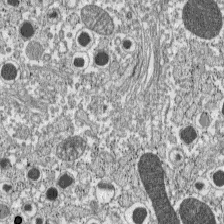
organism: C57BL Mouse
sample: Pancreatic islet